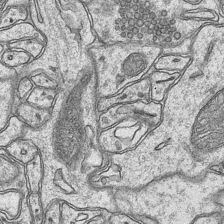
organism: Mouse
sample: CA1 Hippocampus